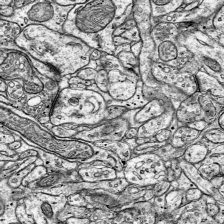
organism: Mouse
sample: Visual Cortex